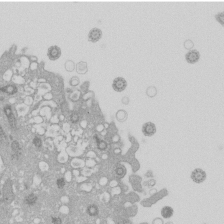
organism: Xenopus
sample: Cilia; centrioles in frog embryo cells